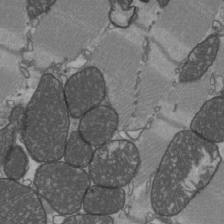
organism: C57BL Mouse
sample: Heart